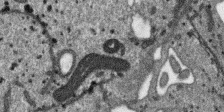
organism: Human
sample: Lung epithelial cells infected with SARS-CoV-2